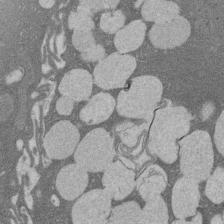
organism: Rat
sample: Salivary granule